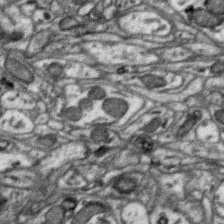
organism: Zebra finch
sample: Brain